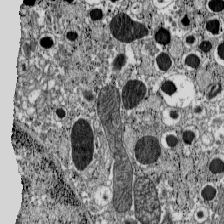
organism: C57BL Mouse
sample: Pancreatic islet